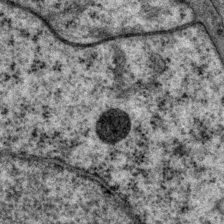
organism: P. pacificus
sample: Pharynx